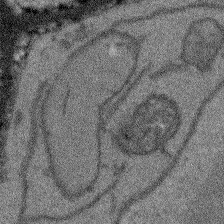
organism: Arabidopsis thaliana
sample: Root tip